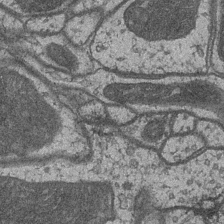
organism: Drosophila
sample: Optic medulla